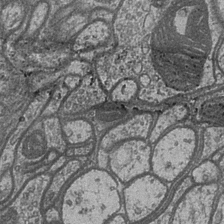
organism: Drosophila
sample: Optic medulla